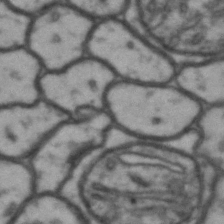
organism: Drosophila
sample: Brain